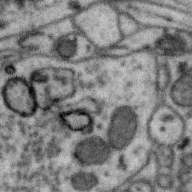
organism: Zebra finch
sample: Brain